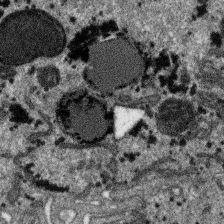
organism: Human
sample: Lung epithelial cells infected with SARS-CoV-2